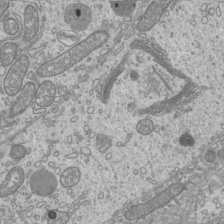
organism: Mouse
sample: Cilia; mouse epididymis